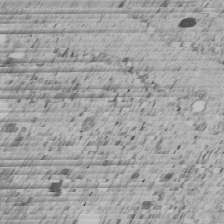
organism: C. elegans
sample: C. elegans embryo early stage